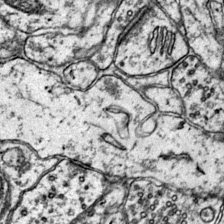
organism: Mouse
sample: Primary visual cortex